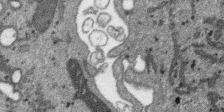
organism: Human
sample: Lung epithelial cells infected with SARS-CoV-2